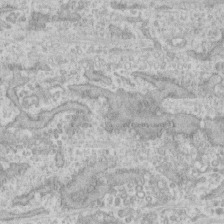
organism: Human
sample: CRL-1474